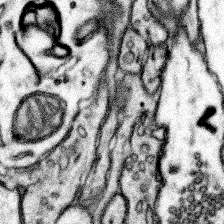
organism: Mouse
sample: Somatosensory cortex neuropil